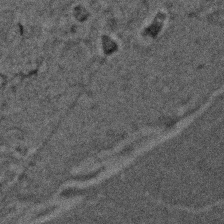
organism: Zebrafish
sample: Zebrafish embryo